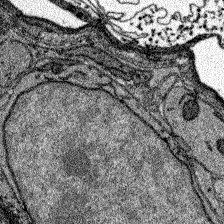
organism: Zebrafish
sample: Larval olfactory bulb